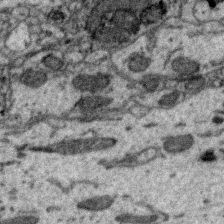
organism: Zebra finch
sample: Brain